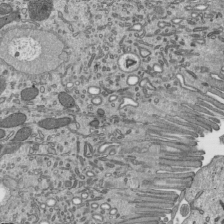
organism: Mouse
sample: Mouse epididymis efferent ductule cilia